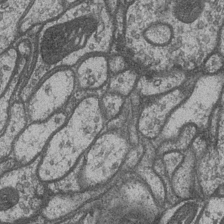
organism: Drosophila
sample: Optic medulla